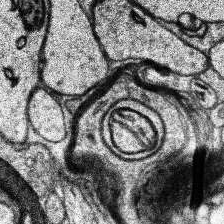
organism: Human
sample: Temporal Lobe